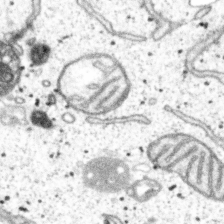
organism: Human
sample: HeLa cells